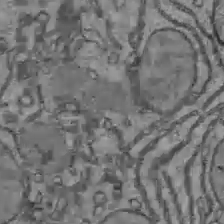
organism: C57BL Mouse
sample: Liver